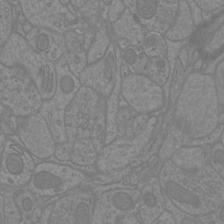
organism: Mouse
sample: Cortical neurons